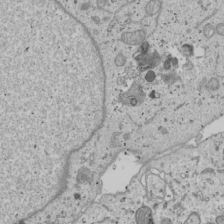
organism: Human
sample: Mitochondria in U2OS cells